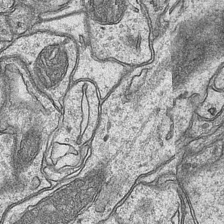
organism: Mouse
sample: CA1 Hippocampus